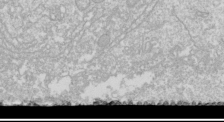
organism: Drosophila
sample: Cell division; meiosis; drosophila spermatocytes